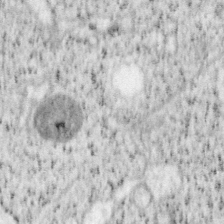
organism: Mouse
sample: OT-I killer T cells with ID8 ovarian cancer cells